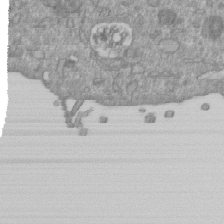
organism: Mouse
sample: ED-1 cell nuclei; centrioles